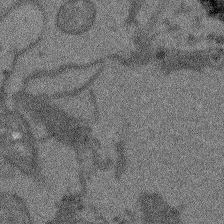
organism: Arabidopsis thaliana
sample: Root tip